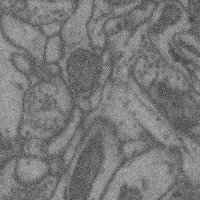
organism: Mouse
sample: Cerebral cortex